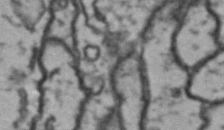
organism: Drosophila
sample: Brain